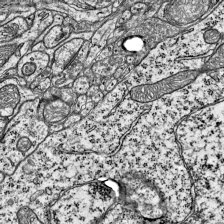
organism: Mouse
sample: Visual Cortex